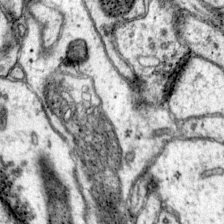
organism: Mouse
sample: Primary visual cortex